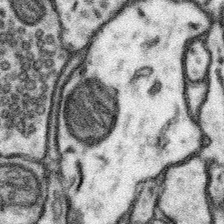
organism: Mouse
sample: Somatosensory cortex neuropil